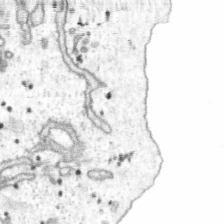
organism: Human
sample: HeLa cells